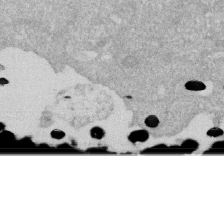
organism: Human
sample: HIV infected U937 cells